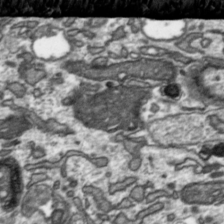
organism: Toxoplasma gondii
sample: Parasites in a vacuole inside a host cell